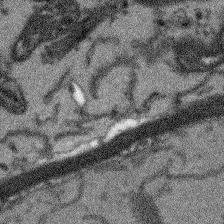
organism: Arabidopsis thaliana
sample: Root tip